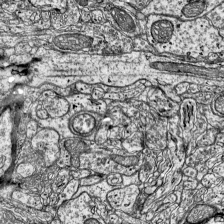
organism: Mouse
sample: Visual Cortex